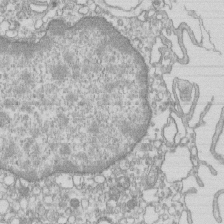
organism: Mouse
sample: Macrophages